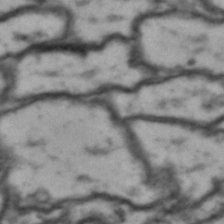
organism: Drosophila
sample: Brain